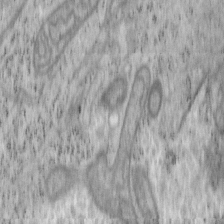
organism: Human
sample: HeLa cells